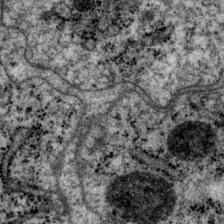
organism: P. pacificus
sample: Pharynx